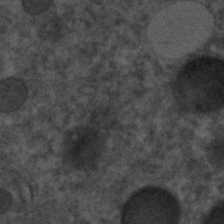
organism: C. elegans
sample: C. elegans embryo